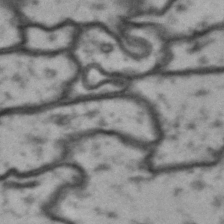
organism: Drosophila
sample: Brain